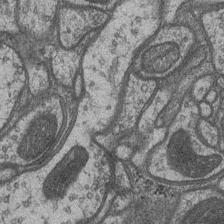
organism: Drosophila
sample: Optic medulla